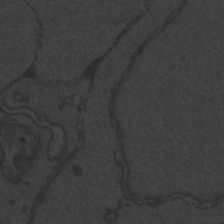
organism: Zebrafish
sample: Macrophage infected with Toxoplasma gondii